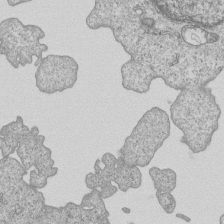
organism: Human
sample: MDA-MB-231 cells